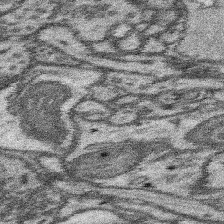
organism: Mouse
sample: Somatosensory cortex neuropil